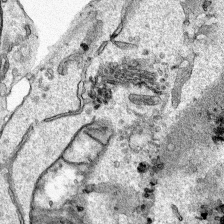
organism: Human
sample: Mitochondria in HCT116 cells